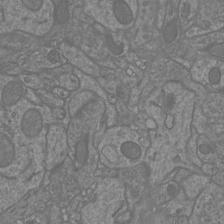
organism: Mouse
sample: Cortical neurons